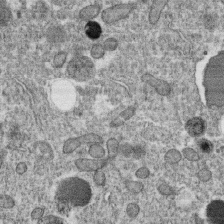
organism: C. elegans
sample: C. elegans oocyte; sperm cells